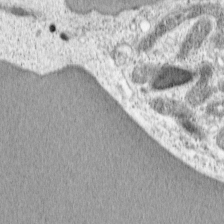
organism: African green monkey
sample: COS-7 cells